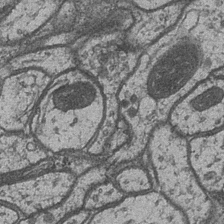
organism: Drosophila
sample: Optic medulla